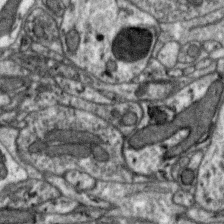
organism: Zebra finch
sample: Brain